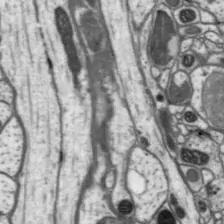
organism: Drosophila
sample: Protocerebral bridge